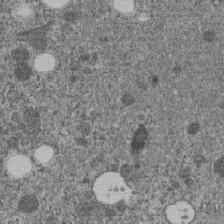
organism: C. elegans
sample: C. elegans embryo early stage